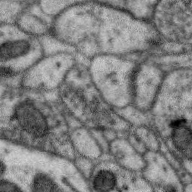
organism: Zebra finch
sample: Brain